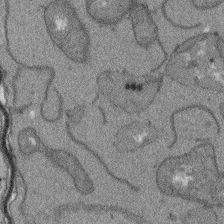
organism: Arabidopsis thaliana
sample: Root tip